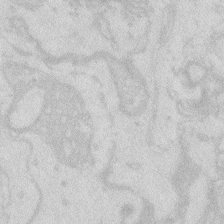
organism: Zebrafish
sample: Macrophage